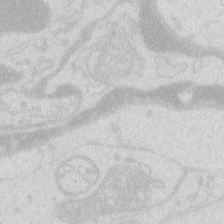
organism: Zebrafish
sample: Macrophage